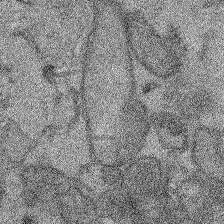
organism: Human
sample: HeLa cells